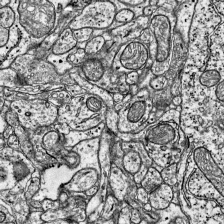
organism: Mouse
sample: Visual Cortex